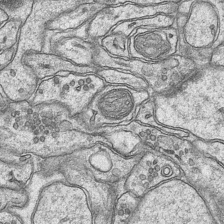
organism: Mouse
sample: CA1 Hippocampus